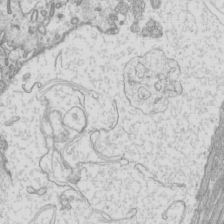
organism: Mouse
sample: Cilia; mouse epididymis